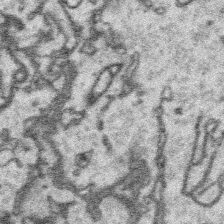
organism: Platynereis dumerilii